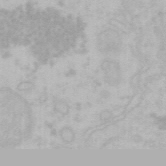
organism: Mouse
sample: Choroid plexus